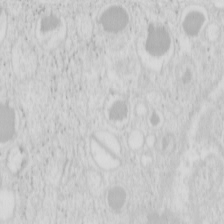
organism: Mouse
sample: Pancreas